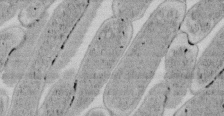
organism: E. coli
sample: Bacterial nucleoid